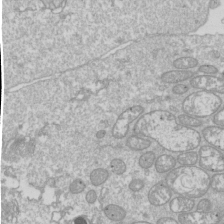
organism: Drosophila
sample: Cell division; meiosis; drosophila spermatocytes